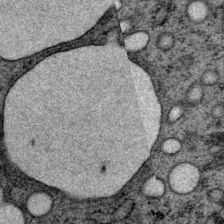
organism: P. pacificus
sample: Pharynx